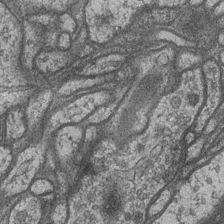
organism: Drosophila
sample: Optic medulla